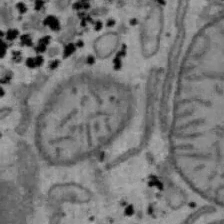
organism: Mouse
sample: Liver